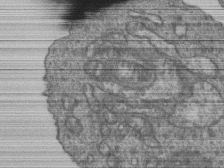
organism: Human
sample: Retinal organoid Rod and Cone cells